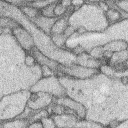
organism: Rabbit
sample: Retina